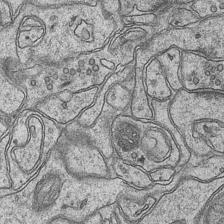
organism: Mouse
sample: CA1 Hippocampus